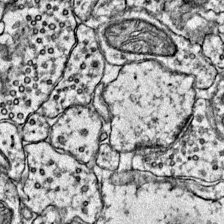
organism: Mouse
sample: Primary visual cortex